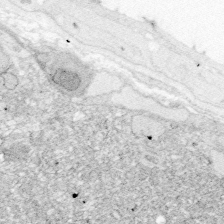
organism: Zebrafish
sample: Whole-Brain